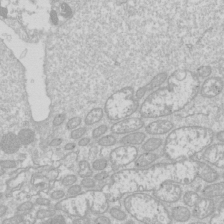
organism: Drosophila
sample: Cell division; meiosis; drosophila spermatocytes